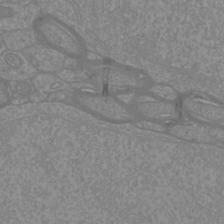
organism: Mouse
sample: Cortical neurons